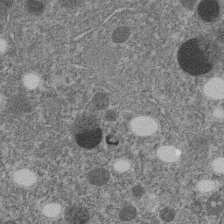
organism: C. elegans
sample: C. elegans embryo early stage